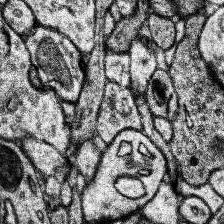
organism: Human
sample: Temporal Lobe